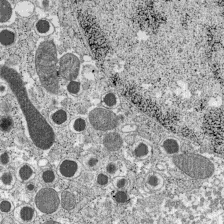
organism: C57BL Mouse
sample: Pancreatic islet